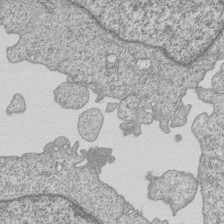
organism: Human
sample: MDA-MB-231 cells